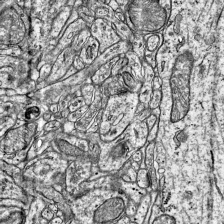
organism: Mouse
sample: Visual Cortex